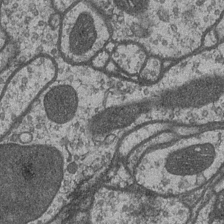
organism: Drosophila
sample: Optic medulla